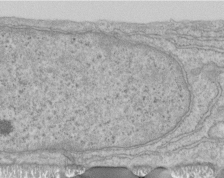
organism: Human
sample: Centriole in RPE cells